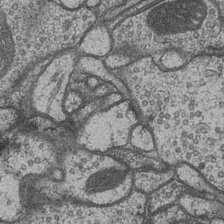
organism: Drosophila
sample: Optic medulla